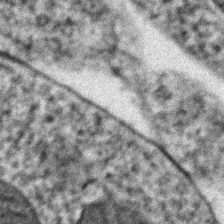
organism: Zebrafish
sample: Zebrafish embryo